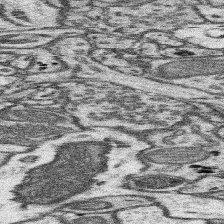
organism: Mouse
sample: Somatosensory cortex neuropil